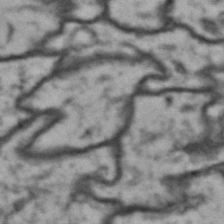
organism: Drosophila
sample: Brain